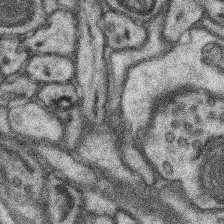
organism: Mouse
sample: Somatosensory cortex neuropil